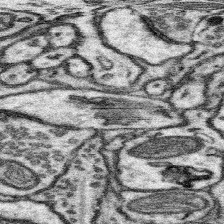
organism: Mouse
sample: Somatosensory cortex neuropil